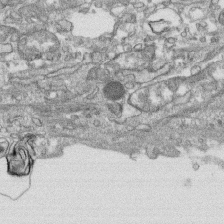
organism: Human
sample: CRL-1474